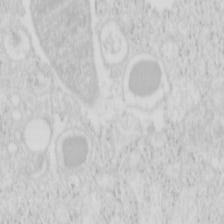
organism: Mouse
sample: Pancreas